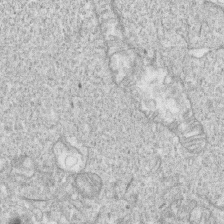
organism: Human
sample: HeLa cell HIV synapse